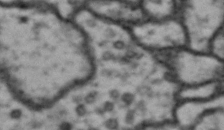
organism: Drosophila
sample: Brain